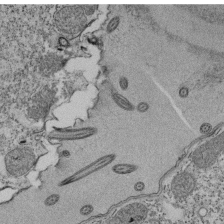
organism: Tetrahymena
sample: Cilia in tetrahymena